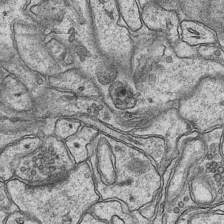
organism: Mouse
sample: CA1 Hippocampus